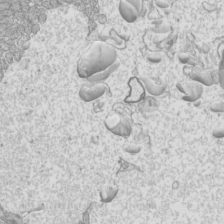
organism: Mouse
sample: Cilia; mouse epididymis